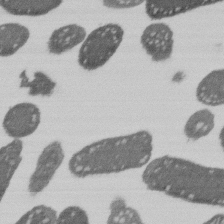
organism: E. coli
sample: Bacterial nucleoid